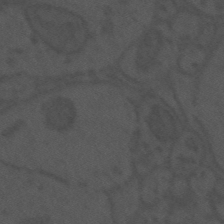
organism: Mouse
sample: Suprachiasmatic nucleus